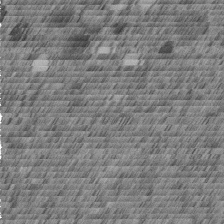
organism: C. elegans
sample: C. elegans embryo early stage